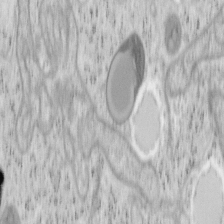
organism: Human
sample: HeLa cells